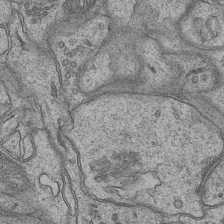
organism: Mouse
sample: CA1 Hippocampus